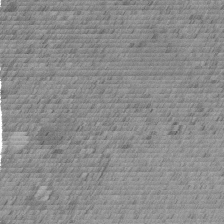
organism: C. elegans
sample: C. elegans embryo early stage